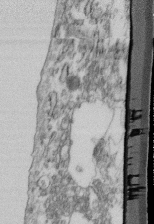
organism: Mouse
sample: Cilia; retinal pigment epithelium